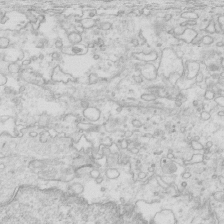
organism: Mouse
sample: Multiciliated cells